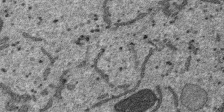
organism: Human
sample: Lung epithelial cells infected with SARS-CoV-2